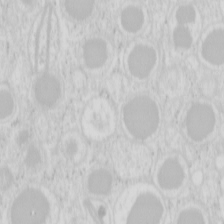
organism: Mouse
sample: Pancreas